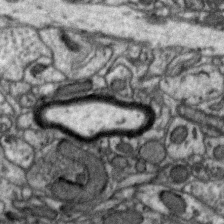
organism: Zebra finch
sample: Brain